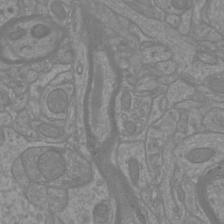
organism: Mouse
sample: Cortical neurons